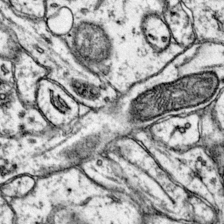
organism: Mouse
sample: Primary visual cortex